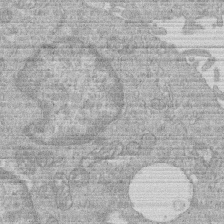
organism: Human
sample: Macrophage cells